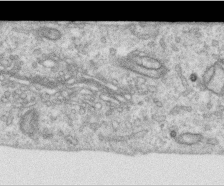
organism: Human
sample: Centriole in RPE cells